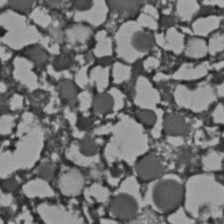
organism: C. elegans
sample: C. elegans embryo